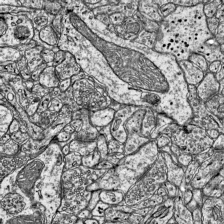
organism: Mouse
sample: Visual Cortex